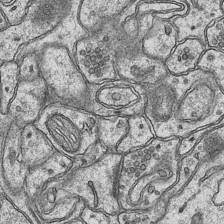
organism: Mouse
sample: CA1 Hippocampus